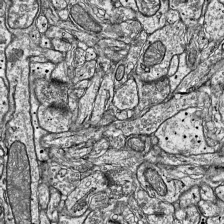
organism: Mouse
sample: Visual Cortex